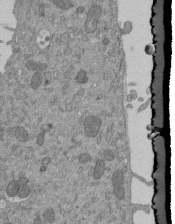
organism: Mouse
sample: ED-1 cell nuclei; centrioles